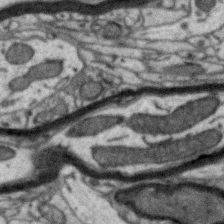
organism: Zebra finch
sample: Brain